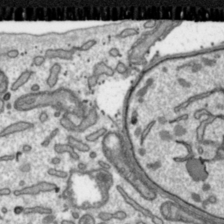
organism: Toxoplasma gondii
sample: Parasites in a vacuole inside a host cell